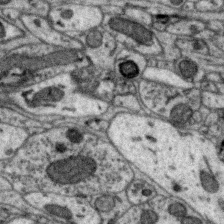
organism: Zebra finch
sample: Brain